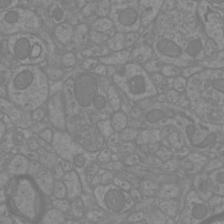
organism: Mouse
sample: Cortical neurons